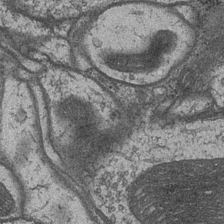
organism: Drosophila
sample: Optic medulla